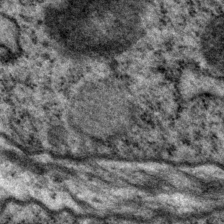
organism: P. pacificus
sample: Pharynx